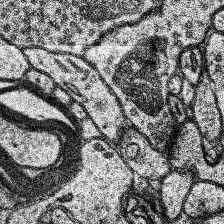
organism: Human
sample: Temporal Lobe